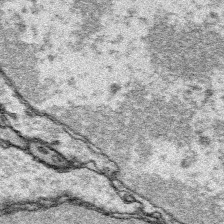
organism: Platynereis dumerilii